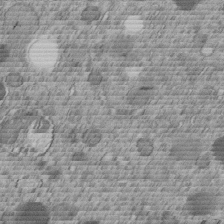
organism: C. elegans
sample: C. elegans embryo early stage